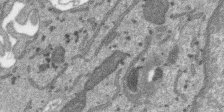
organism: Human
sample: Lung epithelial cells infected with SARS-CoV-2